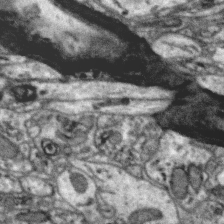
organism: Zebra finch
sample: Brain